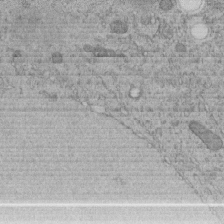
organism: C. elegans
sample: C. elegans embryo early stage